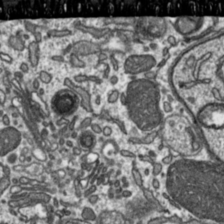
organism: Toxoplasma gondii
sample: Parasites in a vacuole inside a host cell